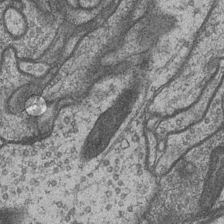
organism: Drosophila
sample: Optic medulla